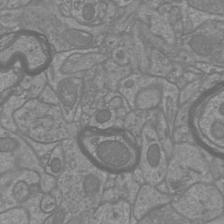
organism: Mouse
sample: Cortical neurons